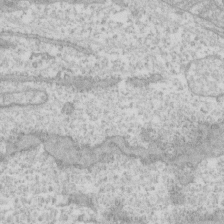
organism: Human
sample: CRL-1474